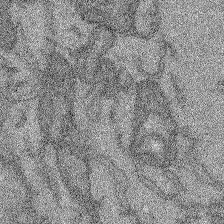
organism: Human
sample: HeLa cells